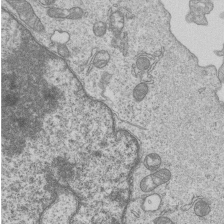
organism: Human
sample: MDA-MB-231 cells